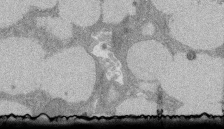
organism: Rat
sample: Salivary granule